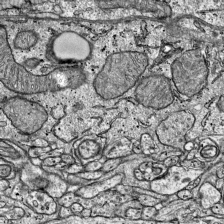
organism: Mouse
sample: Visual Cortex